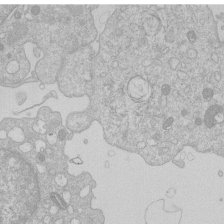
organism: Human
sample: Macrophage cells